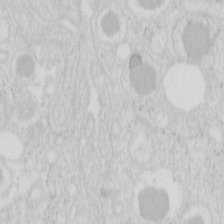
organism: Mouse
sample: Pancreas